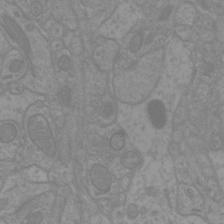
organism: Mouse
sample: Cortical neurons